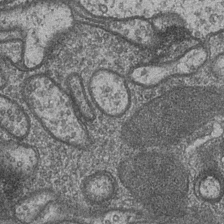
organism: Drosophila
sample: Optic medulla